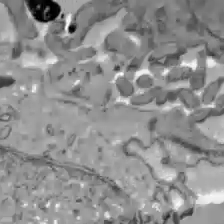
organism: C57BL Mouse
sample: Liver